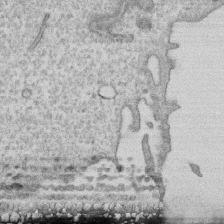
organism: Human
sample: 1205lu cells